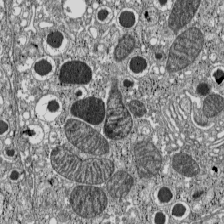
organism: C57BL Mouse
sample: Pancreatic islet